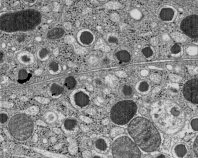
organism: C57BL Mouse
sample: Pancreatic islet